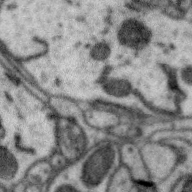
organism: Zebra finch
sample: Brain